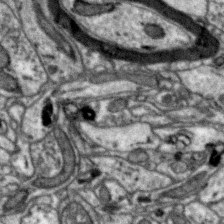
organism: Zebra finch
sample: Brain